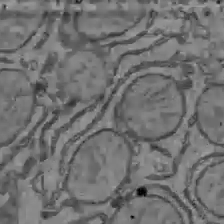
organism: C57BL Mouse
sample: Liver